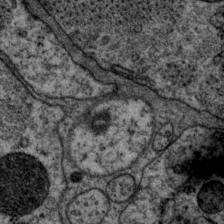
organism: P. pacificus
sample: Pharynx